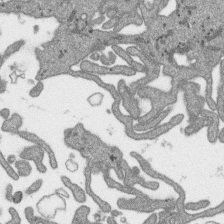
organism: Human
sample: Lung epithelial cells infected with SARS-CoV-2